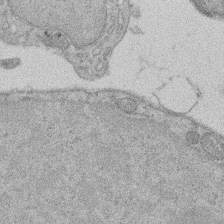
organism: Rat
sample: Salivary granule